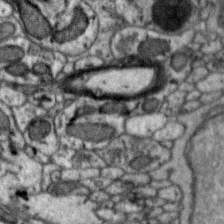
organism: Zebra finch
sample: Brain